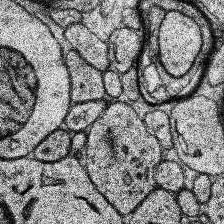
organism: Human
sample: Temporal Lobe